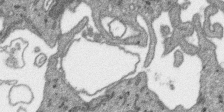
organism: Human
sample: Lung epithelial cells infected with SARS-CoV-2